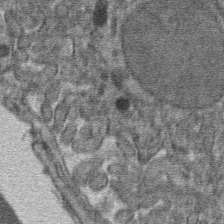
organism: Mouse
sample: Mouse hepatocytes